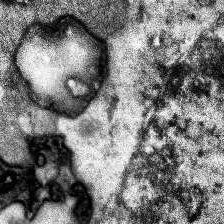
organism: Human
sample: Temporal Lobe